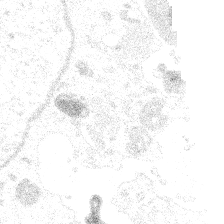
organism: Spongilla lacustris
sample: Multiple